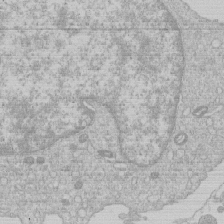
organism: Human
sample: Macrophage cells